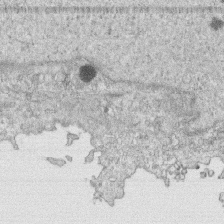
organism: Human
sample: HeLa cell HIV synapse